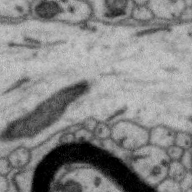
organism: Zebra finch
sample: Brain